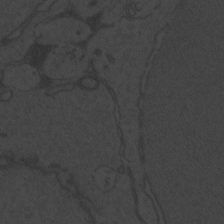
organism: Zebrafish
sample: Macrophage infected with Toxoplasma gondii